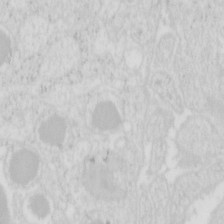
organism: Mouse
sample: Pancreas